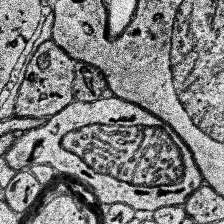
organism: Human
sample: Temporal Lobe